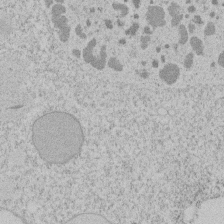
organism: Tetrahymena